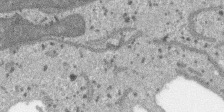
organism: Human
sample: Lung epithelial cells infected with SARS-CoV-2